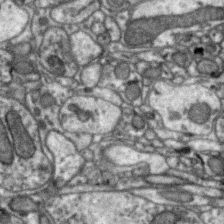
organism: Zebra finch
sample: Brain